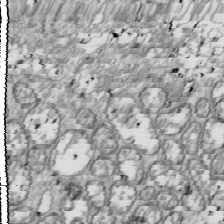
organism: Drosophila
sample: Cell division; meiosis; drosophila spermatocytes